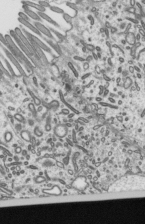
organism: Mouse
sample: Mouse epididymis efferent ductule cilia